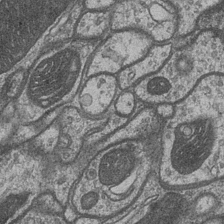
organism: Drosophila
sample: Optic medulla